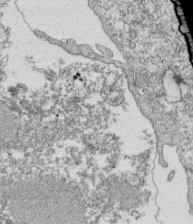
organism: Human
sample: HeLa cell HIV synapse